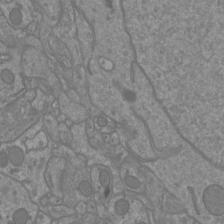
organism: Mouse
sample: Cortical neurons